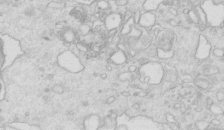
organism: Mouse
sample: Multiciliated cells